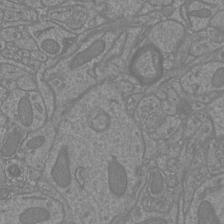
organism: Mouse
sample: Cortical neurons